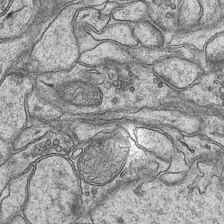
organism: Mouse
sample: CA1 Hippocampus